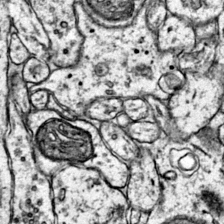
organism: Mouse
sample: Primary visual cortex